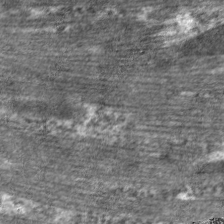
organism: C. elegans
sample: Pharynx